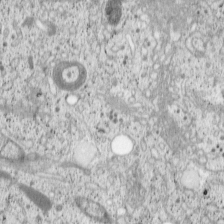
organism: African green monkey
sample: COS-7 cells